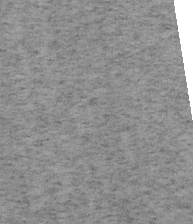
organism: Mouse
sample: OT-I killer T cells with ID8 ovarian cancer cells